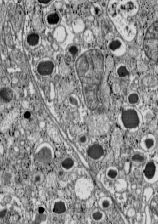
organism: C57BL Mouse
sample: Pancreatic islet